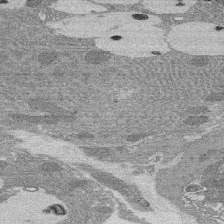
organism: Rat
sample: Salivary granule